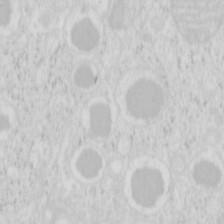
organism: Mouse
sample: Pancreas